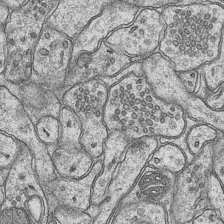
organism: Mouse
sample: CA1 Hippocampus